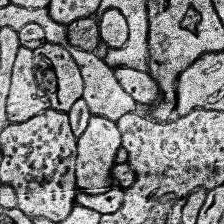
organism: Human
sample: Temporal Lobe